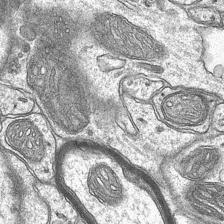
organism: Mouse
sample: CA1 Hippocampus